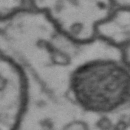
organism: Drosophila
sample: Brain